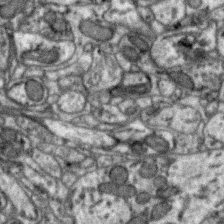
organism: Zebra finch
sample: Brain